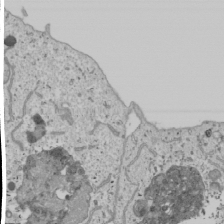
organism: Human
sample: Mitochondria in U2OS cells